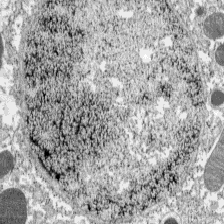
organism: C57BL Mouse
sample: Pancreatic islet